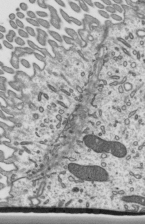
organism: Mouse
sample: Mouse epididymis efferent ductule cilia